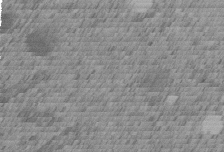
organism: C. elegans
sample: C. elegans embryo early stage